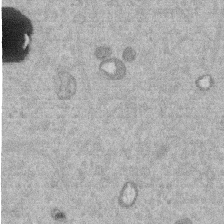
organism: Mouse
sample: Dividing mouse embryo 1 cell stage